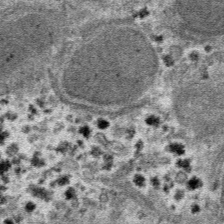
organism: Mouse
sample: Mouse hepatocytes